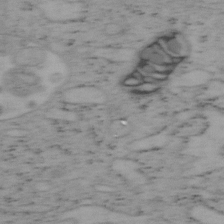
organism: Mouse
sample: OT-I killer T cells with ID8 ovarian cancer cells